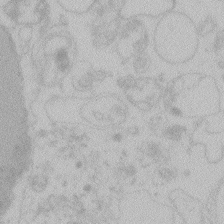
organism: Zebrafish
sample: Macrophage infected with Toxoplasma gondii